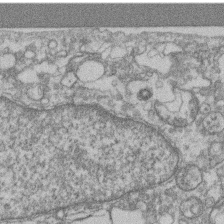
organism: Mouse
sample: T cell stromal cell synapse